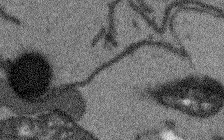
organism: Arabidopsis thaliana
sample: Root tip